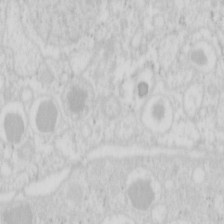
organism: Mouse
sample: Pancreas